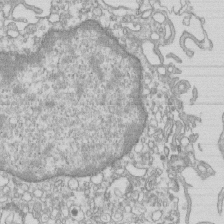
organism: Mouse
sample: Macrophages